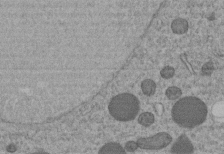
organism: C. elegans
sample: C. elegans embryo early stage